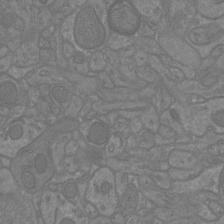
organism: Mouse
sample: Cortical neurons